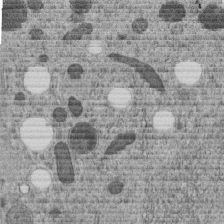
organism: C. elegans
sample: C. elegans embryo early stage